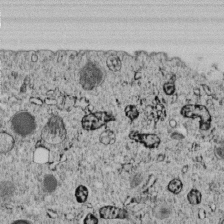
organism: C. elegans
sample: C. elegans embryo early stage